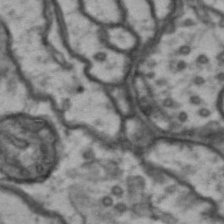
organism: Drosophila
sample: Brain